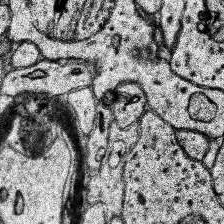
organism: Human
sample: Temporal Lobe